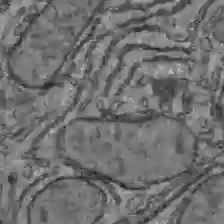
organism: C57BL Mouse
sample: Liver